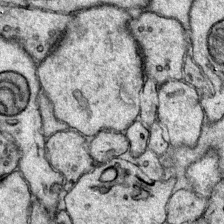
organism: Mouse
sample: Primary visual cortex